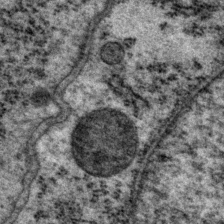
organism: P. pacificus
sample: Pharynx